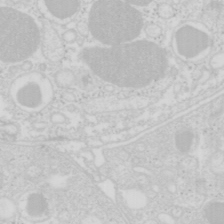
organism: Mouse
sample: Pancreas